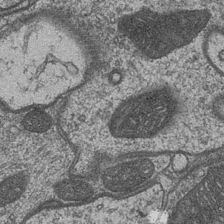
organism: Drosophila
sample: Optic medulla